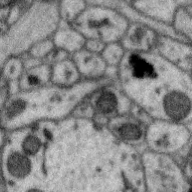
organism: Zebra finch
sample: Brain